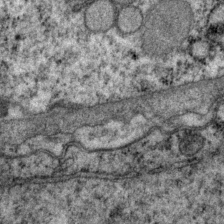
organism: P. pacificus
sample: Pharynx